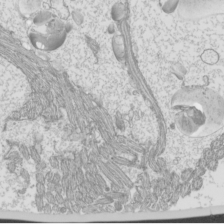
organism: Mouse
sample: Cilia; mouse epididymis